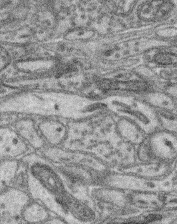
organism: Mouse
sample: Retina